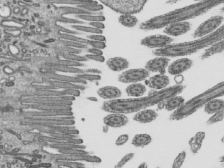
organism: Mouse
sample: Mouse epididymis efferent ductule cilia